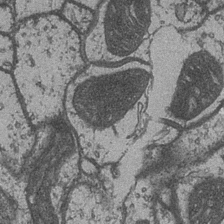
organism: Drosophila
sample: Optic medulla